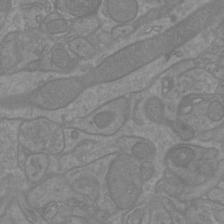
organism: Mouse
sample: Cortical neurons